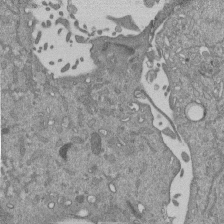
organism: Mouse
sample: ED-1 cell nuclei; centrioles